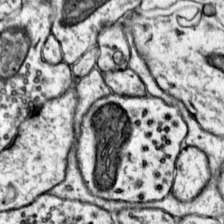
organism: Mouse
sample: Primary visual cortex